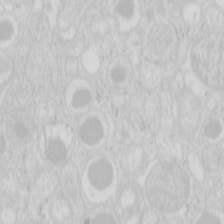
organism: Mouse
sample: Pancreas